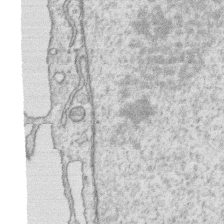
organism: Human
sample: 1205lu cells